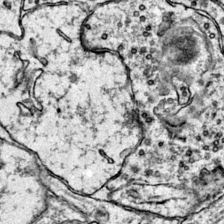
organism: Mouse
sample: Primary visual cortex